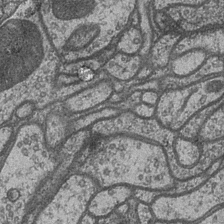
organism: Drosophila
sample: Optic medulla